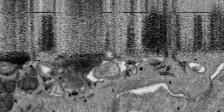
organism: Human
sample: Lung epithelial cells, uninfected (mock) control